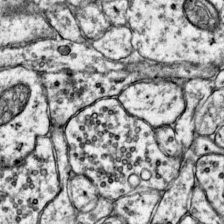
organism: Mouse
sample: Primary visual cortex